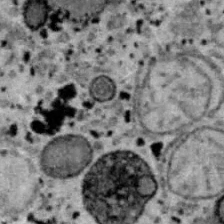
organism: Mouse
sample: Liver from an obese (ob/ob) mouse